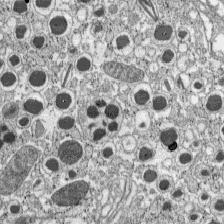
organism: C57BL Mouse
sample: Pancreatic islet